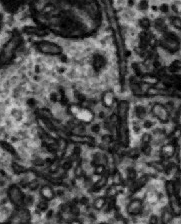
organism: Human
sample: HeLa cells